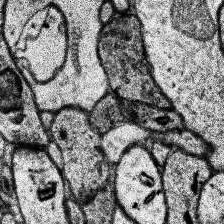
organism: Human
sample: Temporal Lobe